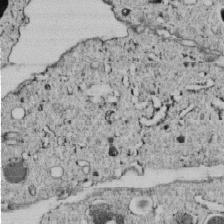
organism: C. elegans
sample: C. elegans embryo early stage